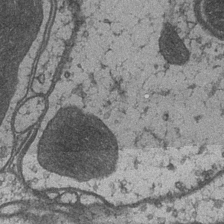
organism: Drosophila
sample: Optic medulla